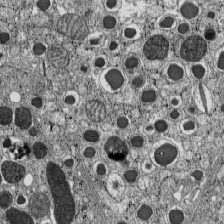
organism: C57BL Mouse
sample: Pancreatic islet